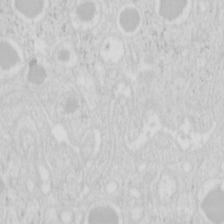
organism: Mouse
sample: Pancreas